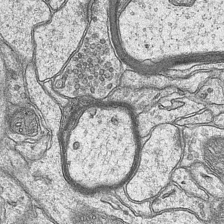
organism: Mouse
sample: CA1 Hippocampus